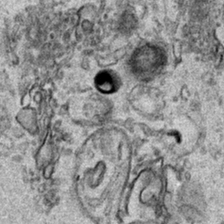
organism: Human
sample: Mitochondria in HCT116 cells